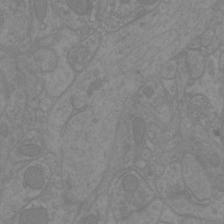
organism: Mouse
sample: Cortical neurons